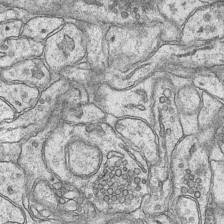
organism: Mouse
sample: CA1 Hippocampus